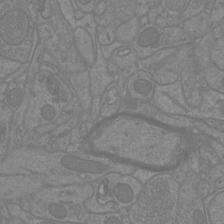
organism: Mouse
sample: Cortical neurons